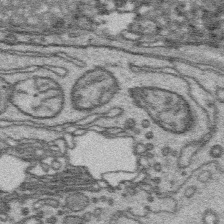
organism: Platynereis dumerilii